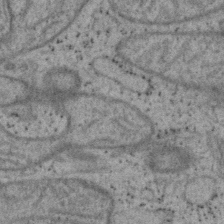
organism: Human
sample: HeLa cells